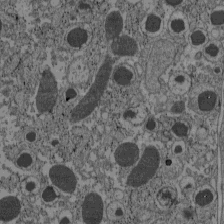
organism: C57BL Mouse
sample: Pancreatic islet